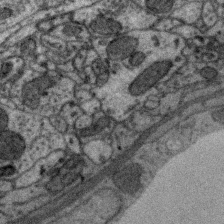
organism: Zebra finch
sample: Brain